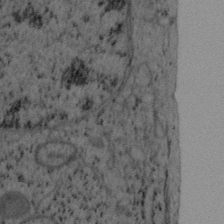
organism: Human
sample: HeLa cells